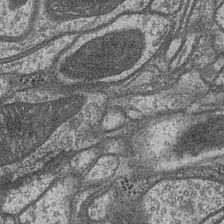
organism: Drosophila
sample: Optic medulla